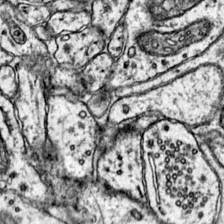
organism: Mouse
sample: Primary visual cortex